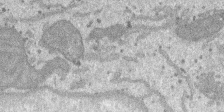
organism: Human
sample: Lung epithelial cells infected with SARS-CoV-2